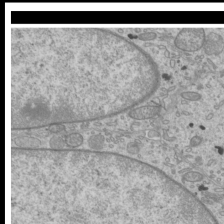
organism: Mouse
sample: Cilia; mouse epididymis